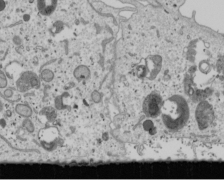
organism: Human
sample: Mitochondria in U2OS cells